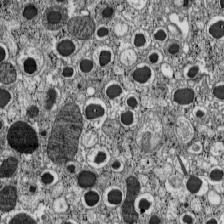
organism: C57BL Mouse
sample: Pancreatic islet